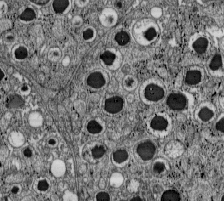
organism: C57BL Mouse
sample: Pancreatic islet